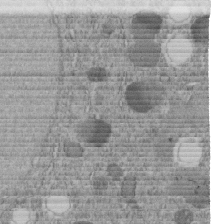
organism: C. elegans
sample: C. elegans embryo early stage